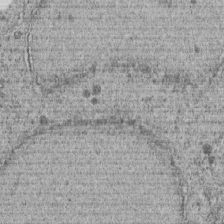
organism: C. elegans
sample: C. elegans embryo early stage